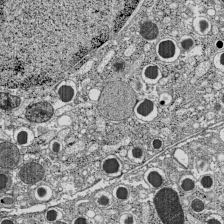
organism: C57BL Mouse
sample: Pancreatic islet